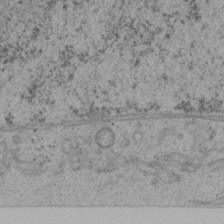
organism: Human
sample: HeLa cells